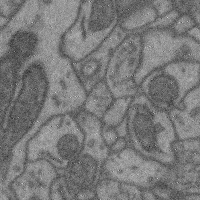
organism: Mouse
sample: Cerebral cortex